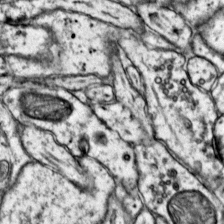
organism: Mouse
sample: Primary visual cortex